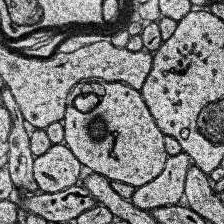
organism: Human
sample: Temporal Lobe